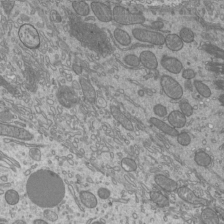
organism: Mouse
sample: Cilia; mouse epididymis